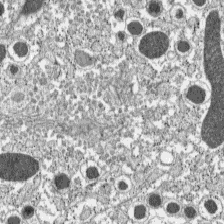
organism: C57BL Mouse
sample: Pancreatic islet